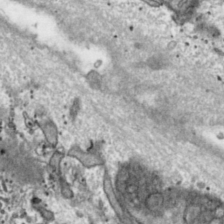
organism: Toxoplasma gondii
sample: Parasites in a vacuole inside a host cell